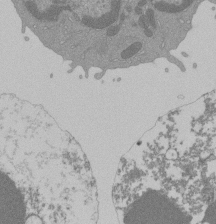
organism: Mouse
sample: Activated Pmel transgenic CD8+ T Cells